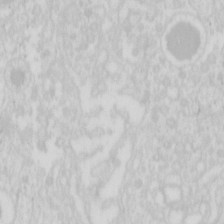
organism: Mouse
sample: Pancreas